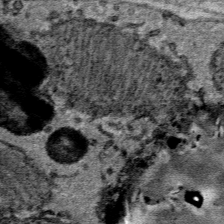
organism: Mouse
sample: Mouse Salivary gland